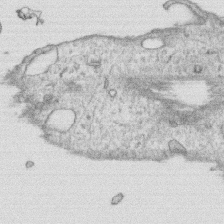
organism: Human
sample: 1205lu cells